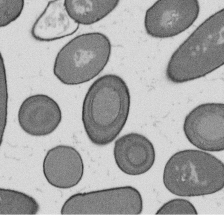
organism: B. subtilis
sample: Bacterial spore